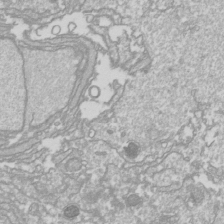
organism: Drosophila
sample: Cell division; meiosis; drosophila spermatocytes